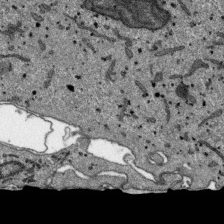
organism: Human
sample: Lung epithelial cells, uninfected (mock) control